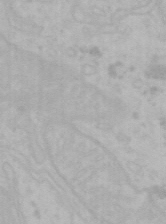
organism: Mouse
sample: Choroid plexus